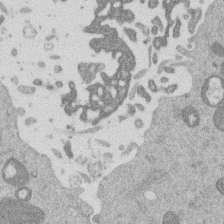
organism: Mouse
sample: Dividing mouse embryo 1 cell stage